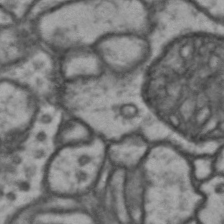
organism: Drosophila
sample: Brain